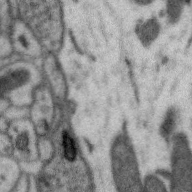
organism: Zebra finch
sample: Brain